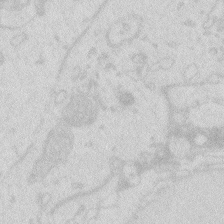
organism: Zebrafish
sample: Macrophage